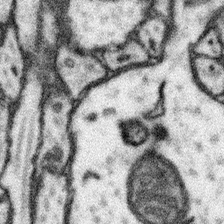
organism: Mouse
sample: Somatosensory cortex neuropil